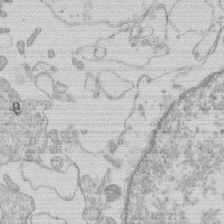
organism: Human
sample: Macrophage cells